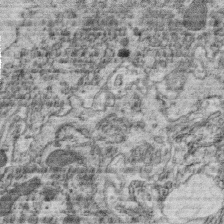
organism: C. elegans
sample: C. elegans oocyte; sperm cells